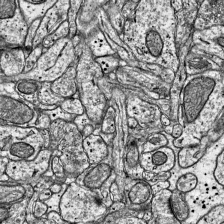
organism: Mouse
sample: Visual Cortex